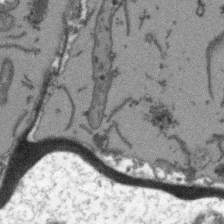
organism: Arabidopsis thaliana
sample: Root tip